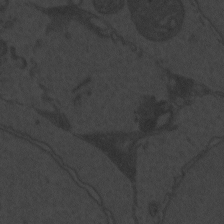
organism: Zebrafish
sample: Macrophage infected with Toxoplasma gondii